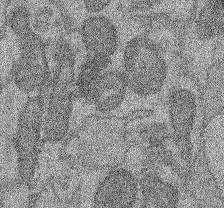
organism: Human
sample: HeLa cells